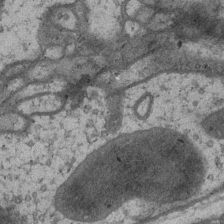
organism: Drosophila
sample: Optic medulla